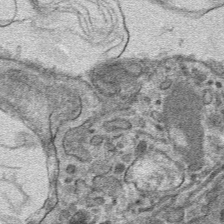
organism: Mouse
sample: Mouse hepatocytes